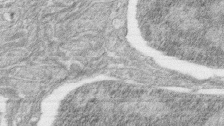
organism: Zebrafish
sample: synaptic ribbons in rod cells and cone cells